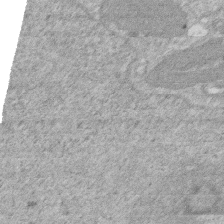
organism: Human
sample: HIV infected U937 cells